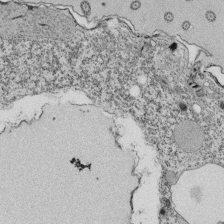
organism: Tetrahymena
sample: Cilia in tetrahymena